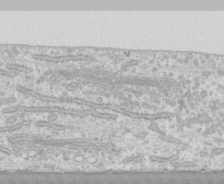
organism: Human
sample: CRL-1474